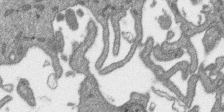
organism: Human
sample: Lung epithelial cells infected with SARS-CoV-2